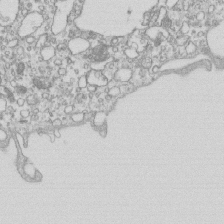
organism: Mouse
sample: Macrophages